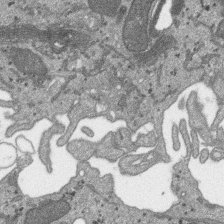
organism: Human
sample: Lung epithelial cells infected with SARS-CoV-2